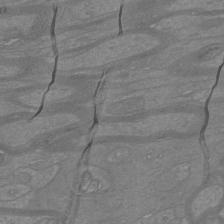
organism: Mouse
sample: Cortical neurons